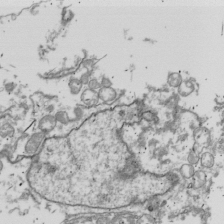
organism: Drosophila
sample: Cell division; meiosis; drosophila spermatocytes